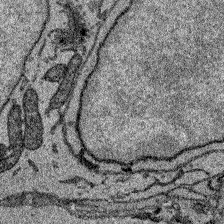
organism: Zebrafish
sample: Larval olfactory bulb